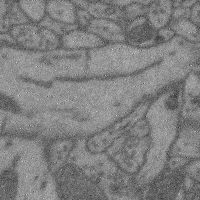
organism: Mouse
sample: Cerebral cortex